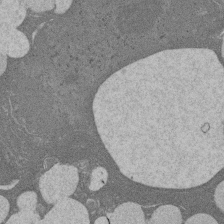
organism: Rat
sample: Salivary granule